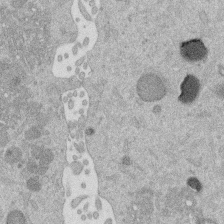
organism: Mouse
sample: Dividing mouse embryo 1 cell stage